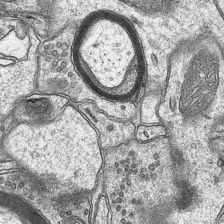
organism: Mouse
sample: CA1 Hippocampus